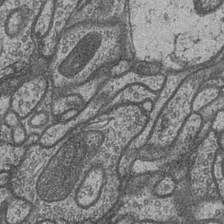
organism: Drosophila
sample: Optic medulla